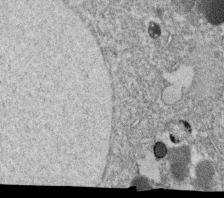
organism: C. elegans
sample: C. elegans oocyte; sperm cells